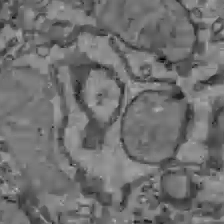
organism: C57BL Mouse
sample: Liver